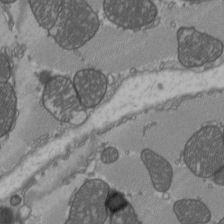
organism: C57BL Mouse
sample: Heart